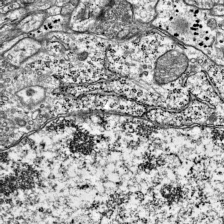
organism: Mouse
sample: Visual Cortex